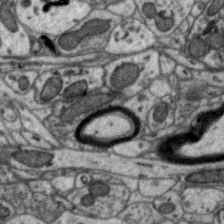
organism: Zebra finch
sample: Brain